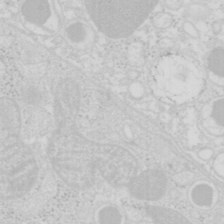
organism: Mouse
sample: Pancreas